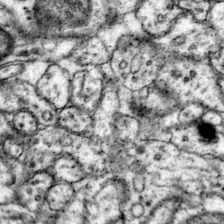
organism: Mouse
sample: Primary visual cortex